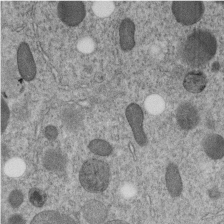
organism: C. elegans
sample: C. elegans embryo early stage